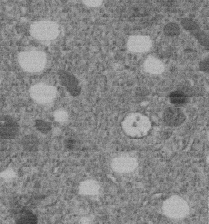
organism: C. elegans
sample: C. elegans embryo early stage